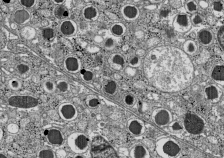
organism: C57BL Mouse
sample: Pancreatic islet